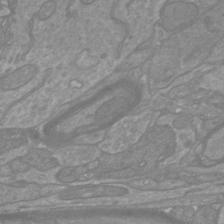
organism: Mouse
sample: Cortical neurons